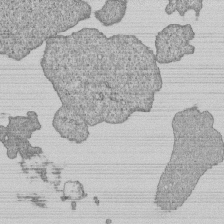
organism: Human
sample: MDA-MB-231 cells